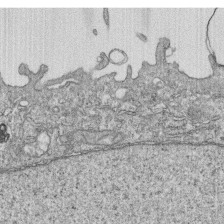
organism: Human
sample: HeLa cell HIV synapse